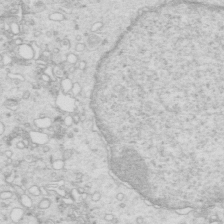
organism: Mouse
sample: Multiciliated cells